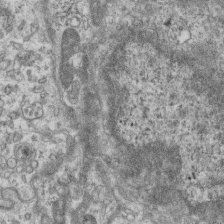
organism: Mouse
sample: Centriole in ependymal cells